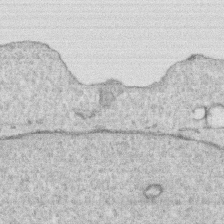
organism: Human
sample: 1205lu cells